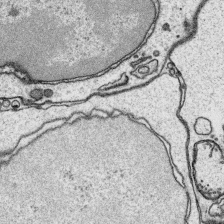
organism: Platynereis dumerilii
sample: Parapodia